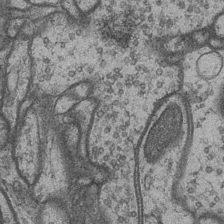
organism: Drosophila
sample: Optic medulla